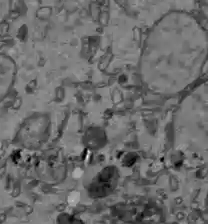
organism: C57BL Mouse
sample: Liver